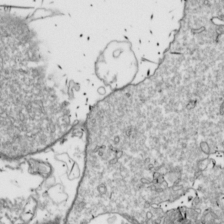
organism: Drosophila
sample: Cell division; meiosis; drosophila spermatocytes